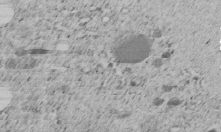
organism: C. elegans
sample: C. elegans embryo early stage